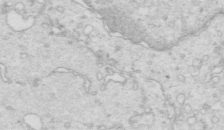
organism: Mouse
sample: Multiciliated cells